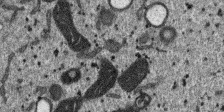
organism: Human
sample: Lung epithelial cells infected with SARS-CoV-2